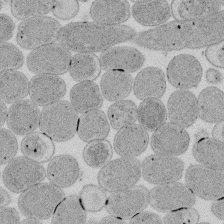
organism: E. coli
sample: Bacterial nucleoid